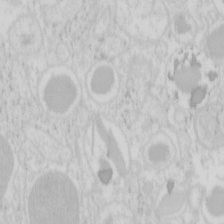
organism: Mouse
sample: Pancreas